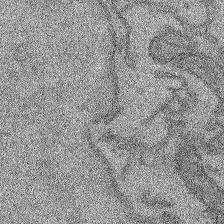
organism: Human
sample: HeLa cells